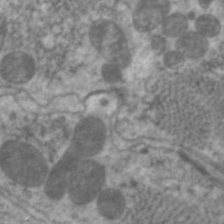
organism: C. elegans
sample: Pharynx